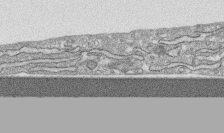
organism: Human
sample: CRL-1474